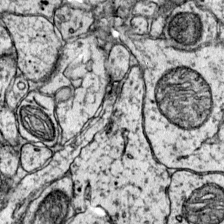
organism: Mouse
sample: Primary visual cortex